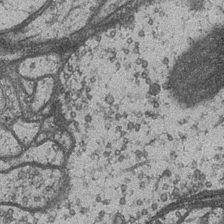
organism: Drosophila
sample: Optic medulla